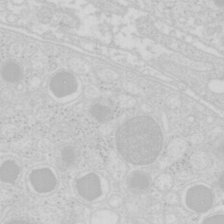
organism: Mouse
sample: Pancreas